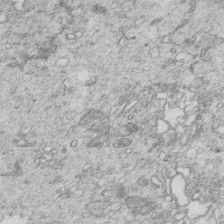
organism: Mouse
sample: Multiciliated cells